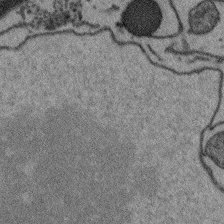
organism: Arabidopsis thaliana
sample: Root tip